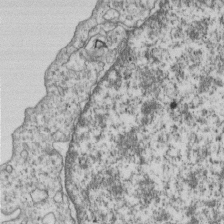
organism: Human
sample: MDA-MB-231 cells